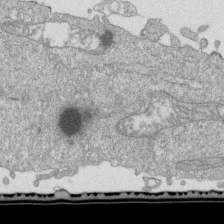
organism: Human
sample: HeLa cell HIV synapse